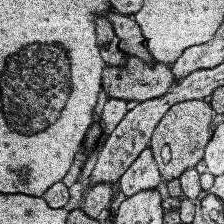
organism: Human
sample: Temporal Lobe